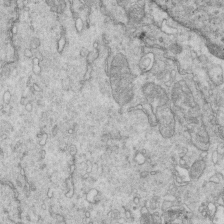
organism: Mouse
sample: Multiciliated cells